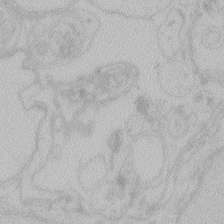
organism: Zebrafish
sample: Macrophage infected with Toxoplasma gondii